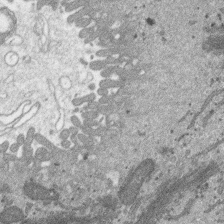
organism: Human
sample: Lung epithelial cells infected with SARS-CoV-2